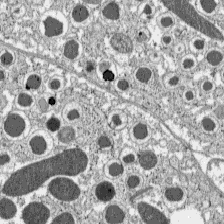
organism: C57BL Mouse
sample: Pancreatic islet